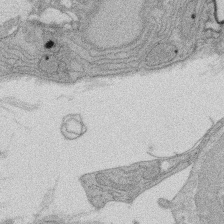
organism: Rat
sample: Salivary granule